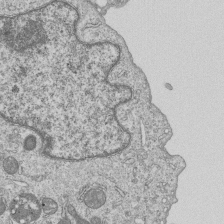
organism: Human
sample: MDA-MB-231 cells